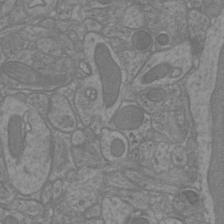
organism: Mouse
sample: Cortical neurons